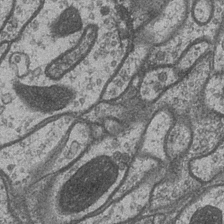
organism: Drosophila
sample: Optic medulla